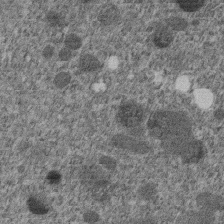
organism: C. elegans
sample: C. elegans embryo early stage